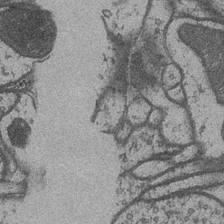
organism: Drosophila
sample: Optic medulla